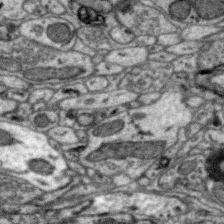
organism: Zebra finch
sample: Brain